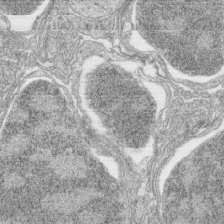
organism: Zebrafish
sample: synaptic ribbons in rod cells and cone cells